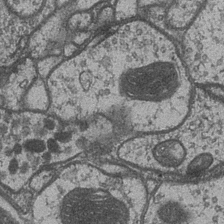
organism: Drosophila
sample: Optic medulla